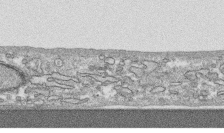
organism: Human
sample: CRL-1474